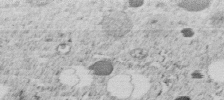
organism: C. elegans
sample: C. elegans embryo early stage